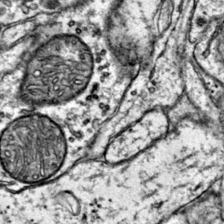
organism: Mouse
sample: Primary visual cortex